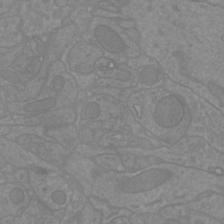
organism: Mouse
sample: Cortical neurons